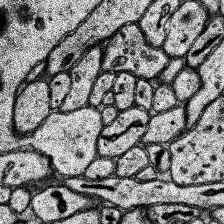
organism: Human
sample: Temporal Lobe